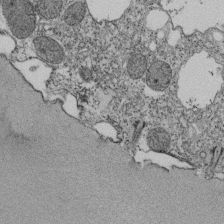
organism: Tetrahymena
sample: Cilia in tetrahymena